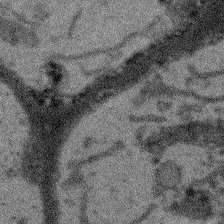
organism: Arabidopsis thaliana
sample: Root tip